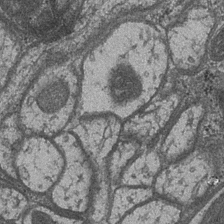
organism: Drosophila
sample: Optic medulla